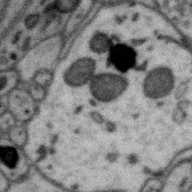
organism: Zebra finch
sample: Brain